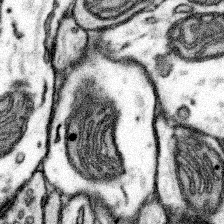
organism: Mouse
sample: Somatosensory cortex neuropil